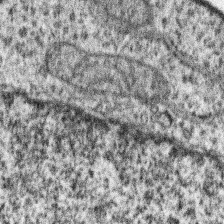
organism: Human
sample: HeLa cells